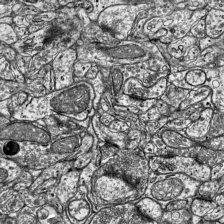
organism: Mouse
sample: Visual Cortex